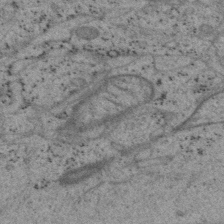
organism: Human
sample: HeLa cells